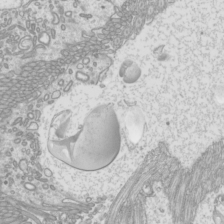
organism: Mouse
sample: Cilia; mouse epididymis